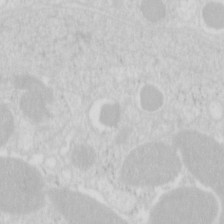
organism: Mouse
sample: Pancreas